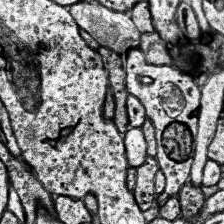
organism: Human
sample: Temporal Lobe